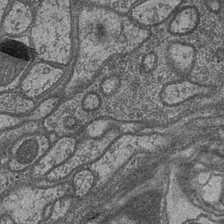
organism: Drosophila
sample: Optic medulla